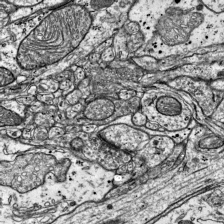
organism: Mouse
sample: Visual Cortex